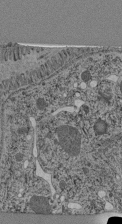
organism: C. elegans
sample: C. elegans pharynx